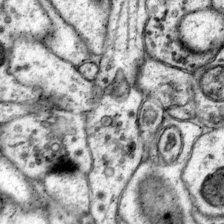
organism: Mouse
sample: Primary visual cortex